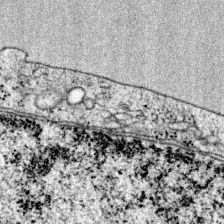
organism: Human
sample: HeLa cells